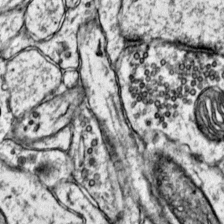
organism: Mouse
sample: Primary visual cortex